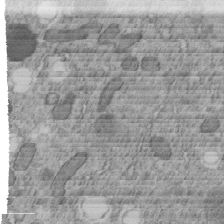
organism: C. elegans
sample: C. elegans embryo early stage